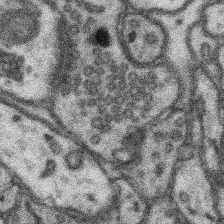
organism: Mouse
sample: Somatosensory cortex neuropil